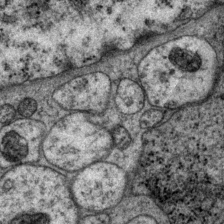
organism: P. pacificus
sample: Pharynx